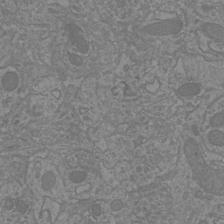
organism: Mouse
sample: Cortical neurons